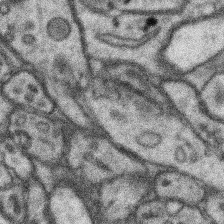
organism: Mouse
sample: Somatosensory cortex neuropil